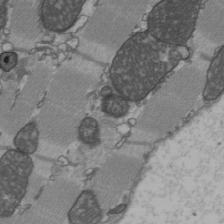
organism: C57BL Mouse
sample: Heart